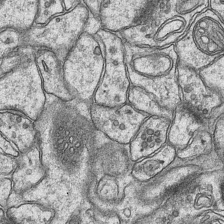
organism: Mouse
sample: CA1 Hippocampus